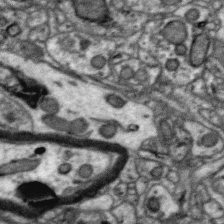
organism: Zebra finch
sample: Brain